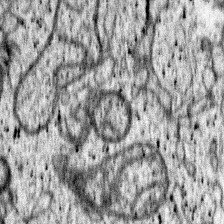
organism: Human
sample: HeLa cells